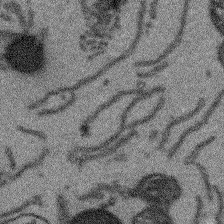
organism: Arabidopsis thaliana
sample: Root tip